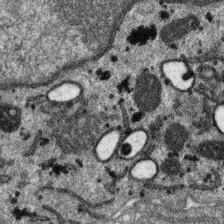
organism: Human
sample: Lung epithelial cells infected with SARS-CoV-2